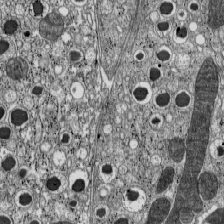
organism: C57BL Mouse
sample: Pancreatic islet